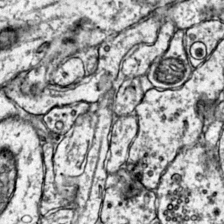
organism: Mouse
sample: Primary visual cortex